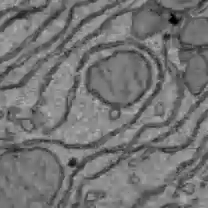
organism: C57BL Mouse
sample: Liver